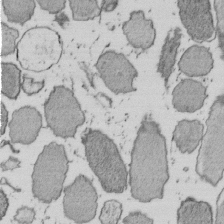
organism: E. coli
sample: Bacterial nucleoid